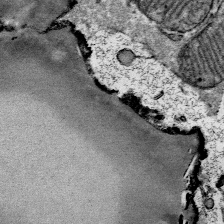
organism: Mouse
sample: Mouse Salivary gland